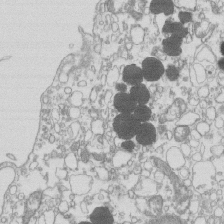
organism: Mouse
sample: Macrophages